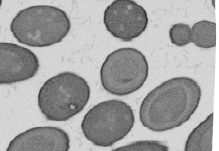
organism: B. subtilis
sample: Bacterial spore